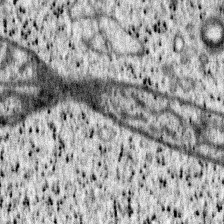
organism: Human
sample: HeLa cells